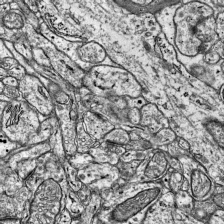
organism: Mouse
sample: Visual Cortex